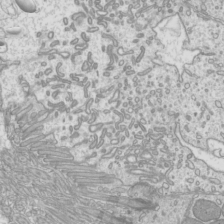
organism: Mouse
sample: Cilia; mouse epididymis